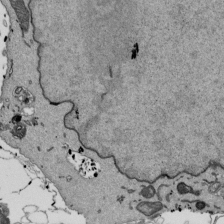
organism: Mouse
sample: ED-1 cell nuclei; centrioles